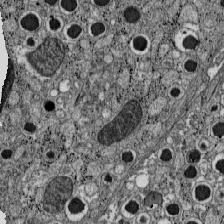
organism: C57BL Mouse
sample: Pancreatic islet